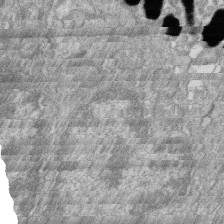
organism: Zebrafish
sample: Cilia; retinal pigment epithelium